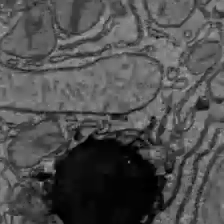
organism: C57BL Mouse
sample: Liver